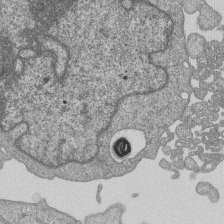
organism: Human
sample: MDA-MB-231 cells